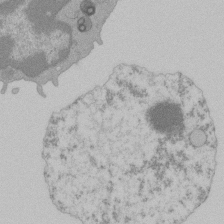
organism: Mouse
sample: Activated Pmel transgenic CD8+ T Cells